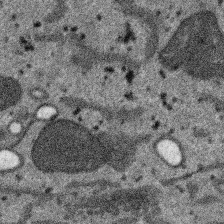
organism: Human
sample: Lung epithelial cells infected with SARS-CoV-2